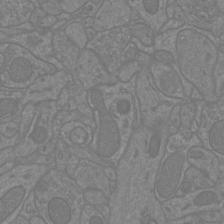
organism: Mouse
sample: Cortical neurons